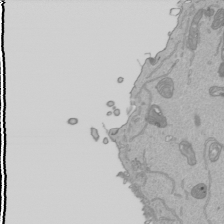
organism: Human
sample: Mitochondria in HCT116 cells